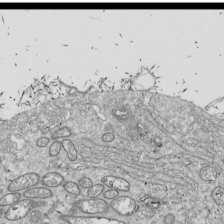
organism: Drosophila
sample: Cell division; meiosis; drosophila spermatocytes